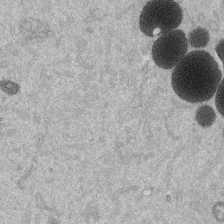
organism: Mouse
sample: Dividing mouse embryo 1 cell stage